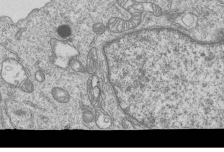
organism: Human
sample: MDA-MB-231 cells